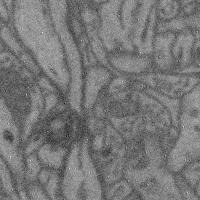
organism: Mouse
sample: Cerebral cortex